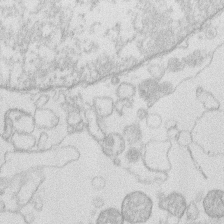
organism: Human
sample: Macrophage cells